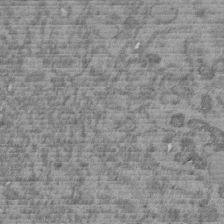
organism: C. elegans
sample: C. elegans embryo early stage